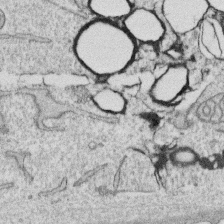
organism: Human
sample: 1205lu cells